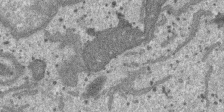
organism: Human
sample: Lung epithelial cells infected with SARS-CoV-2